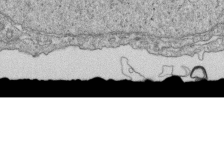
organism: Human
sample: HeLa cell HIV synapse